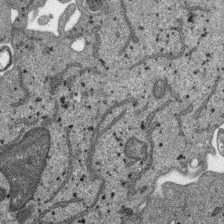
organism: Human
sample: Lung epithelial cells infected with SARS-CoV-2